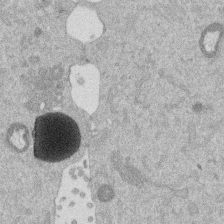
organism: Mouse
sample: Dividing mouse embryo 1 cell stage